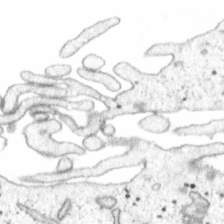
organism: Human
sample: HeLa cells